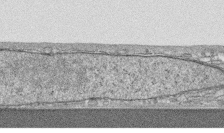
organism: Human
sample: CRL-1474